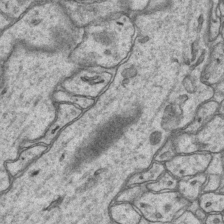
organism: Mouse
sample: CA1 Hippocampus